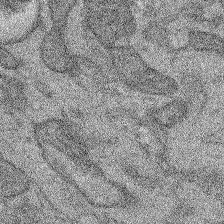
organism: Human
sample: HeLa cells